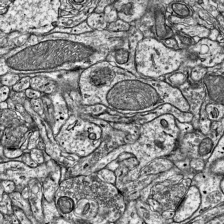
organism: Mouse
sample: Visual Cortex